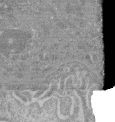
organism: Mouse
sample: Glomerulus